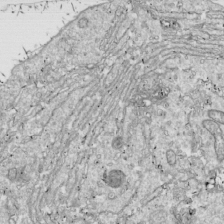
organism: Drosophila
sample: Cell division; meiosis; drosophila spermatocytes